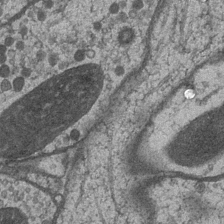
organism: Drosophila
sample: Optic medulla